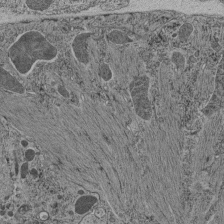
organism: C. elegans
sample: C. elegans pharynx